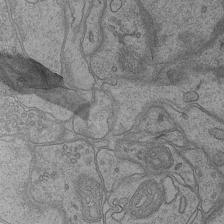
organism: Mouse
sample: CA1 Hippocampus